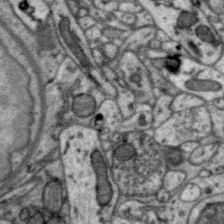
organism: Zebra finch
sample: Brain